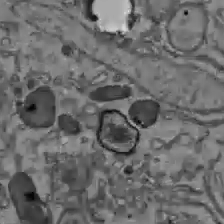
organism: C57BL Mouse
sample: Liver